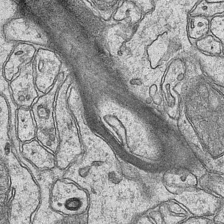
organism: Mouse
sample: CA1 Hippocampus